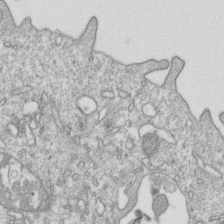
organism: Mouse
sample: Activated OT-1 CD8+ T cells